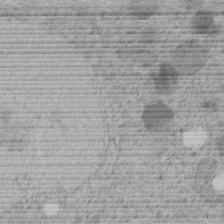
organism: C. elegans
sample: C. elegans embryo early stage